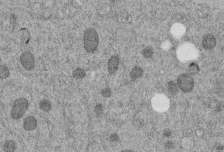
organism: C. elegans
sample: C. elegans embryo early stage